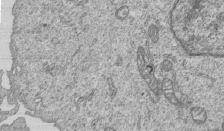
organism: Human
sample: MDA-MB-231 cells